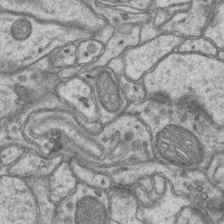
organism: Mouse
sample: CA1 Hippocampus